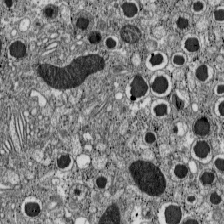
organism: C57BL Mouse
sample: Pancreatic islet